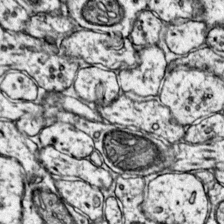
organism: Mouse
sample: Primary visual cortex